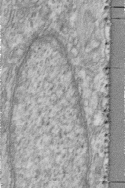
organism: Human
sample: Centriole in fibroblast cells